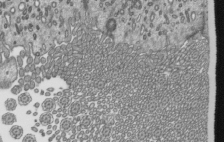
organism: Mouse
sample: Mouse epididymis efferent ductule cilia